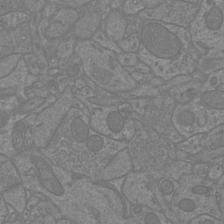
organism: Mouse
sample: Cortical neurons